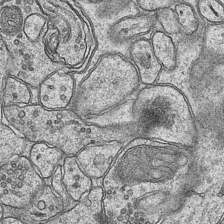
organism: Mouse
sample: CA1 Hippocampus